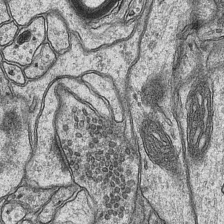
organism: Mouse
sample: CA1 Hippocampus